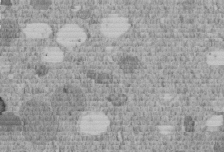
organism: C. elegans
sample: C. elegans embryo early stage